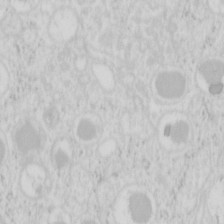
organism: Mouse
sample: Pancreas